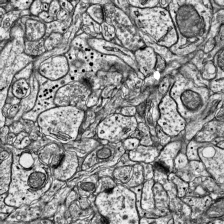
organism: Mouse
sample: Visual Cortex